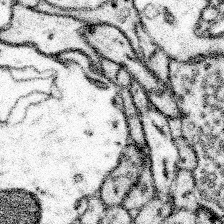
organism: Mouse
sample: Somatosensory cortex neuropil